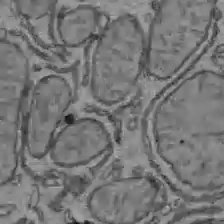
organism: C57BL Mouse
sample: Liver